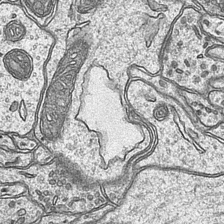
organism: Mouse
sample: CA1 Hippocampus